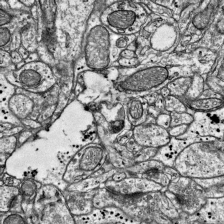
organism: Mouse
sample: Visual Cortex